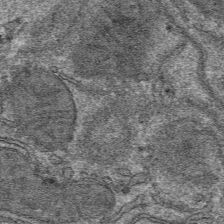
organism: Mouse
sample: Mouse hepatocytes